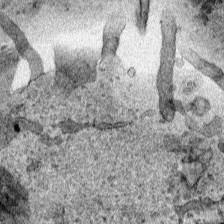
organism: Human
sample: Mitochondria in HCT116 cells